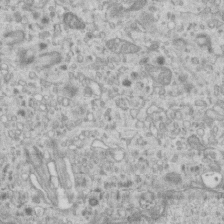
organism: Mouse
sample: Centriole in ependymal cells